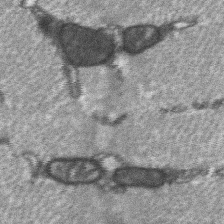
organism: C57BL Mouse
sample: Soleus